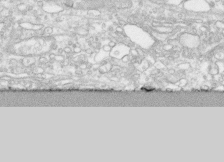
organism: Human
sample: CRL-1474